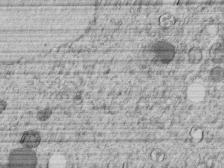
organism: C. elegans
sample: C. elegans embryo early stage